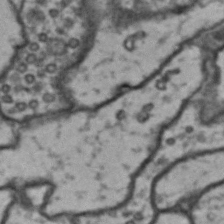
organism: Drosophila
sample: Brain